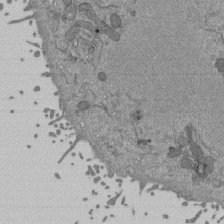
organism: Mouse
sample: ED-1 cell nuclei; centrioles